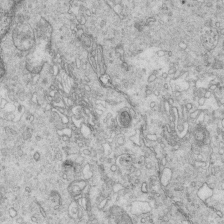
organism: Mouse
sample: Multiciliated cells